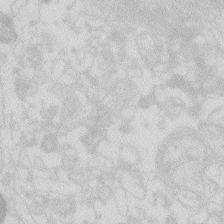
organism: Zebrafish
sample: Macrophage